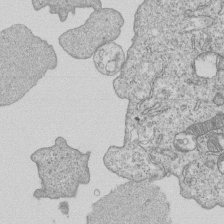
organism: Human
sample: MDA-MB-231 cells